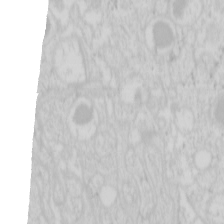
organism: Mouse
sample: Pancreas